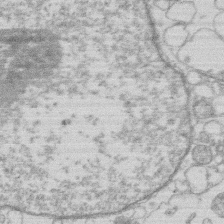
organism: Human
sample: Macrophage cells